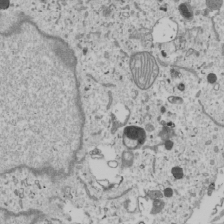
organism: Human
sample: Mitochondria in U2OS cells